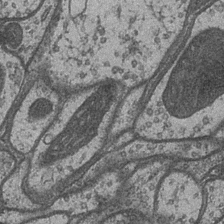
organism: Drosophila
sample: Optic medulla